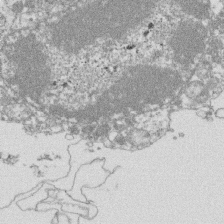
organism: Human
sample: HeLa cell HIV synapse